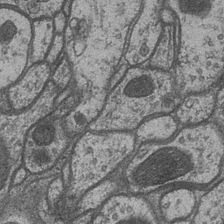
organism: Drosophila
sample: Optic medulla